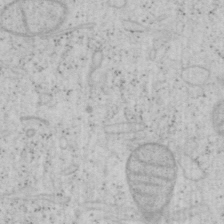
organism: Human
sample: HeLa cells